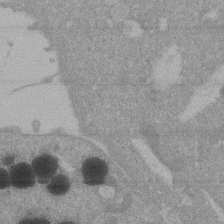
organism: Mouse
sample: ED-1 cell nuclei; centrioles